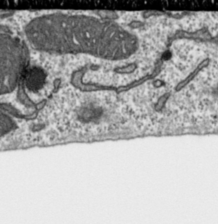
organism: Toxoplasma gondii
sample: Parasites in a vacuole inside a host cell